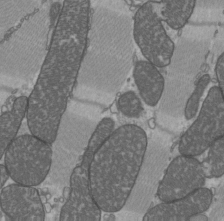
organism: C57BL Mouse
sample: Heart